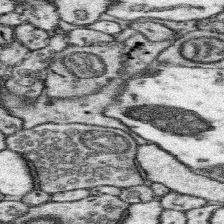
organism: Mouse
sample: Somatosensory cortex neuropil